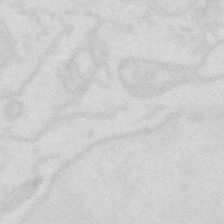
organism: Human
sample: HeLa cells